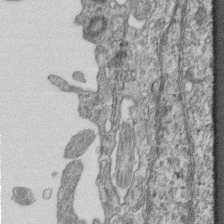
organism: Mouse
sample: Centriole in ependymal cells